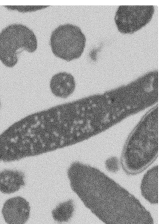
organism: E. coli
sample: Bacterial nucleoid